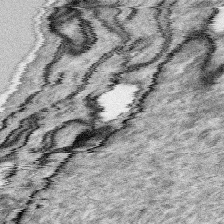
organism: Human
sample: HeLa cells